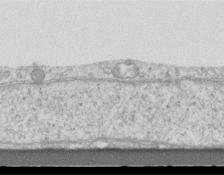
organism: Mouse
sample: Centriole in ependymal cells